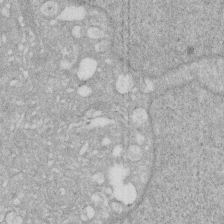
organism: Human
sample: HIV infected U937 cells